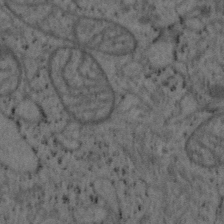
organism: Human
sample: HeLa cells